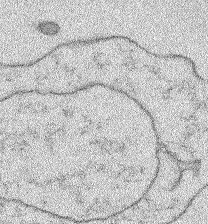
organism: Human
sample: HeLa cells